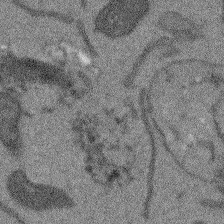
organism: Arabidopsis thaliana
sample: Root tip